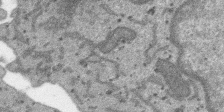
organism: Human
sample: Lung epithelial cells infected with SARS-CoV-2